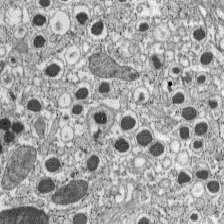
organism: C57BL Mouse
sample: Pancreatic islet